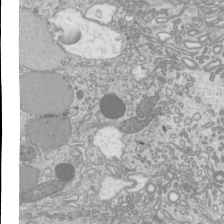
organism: Mouse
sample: Cilia; mouse epididymis